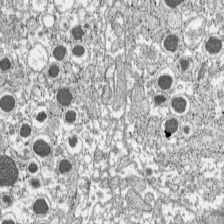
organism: C57BL Mouse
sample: Pancreatic islet